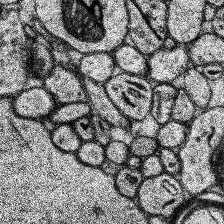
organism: Human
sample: Temporal Lobe